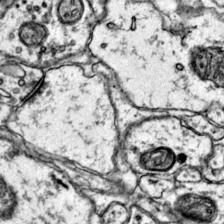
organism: Mouse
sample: Primary visual cortex